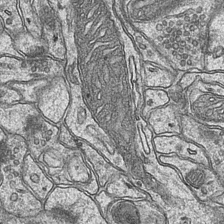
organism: Mouse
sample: CA1 Hippocampus